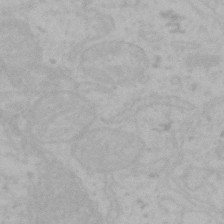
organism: Mouse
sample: Choroid plexus